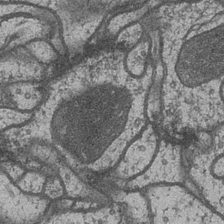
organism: Drosophila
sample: Optic medulla